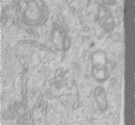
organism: Human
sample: Centriole in RPE cells